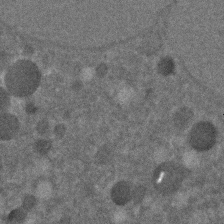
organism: C. elegans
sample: C. elegans embryo